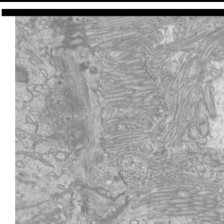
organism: Mouse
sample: Cilia; mouse epididymis